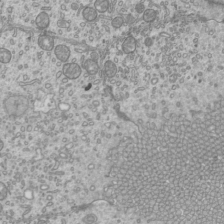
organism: Mouse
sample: Cilia; mouse epididymis